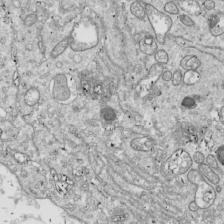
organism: Drosophila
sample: Cell division; meiosis; drosophila spermatocytes